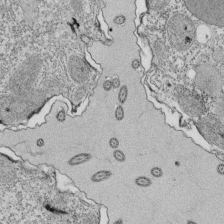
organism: Tetrahymena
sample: Cilia in tetrahymena